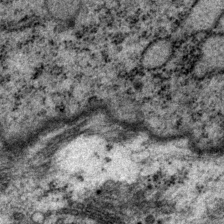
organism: P. pacificus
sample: Pharynx